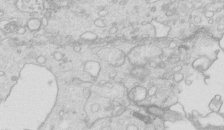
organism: Mouse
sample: Multiciliated cells